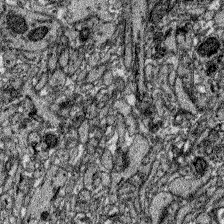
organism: Zebrafish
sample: Larval olfactory bulb